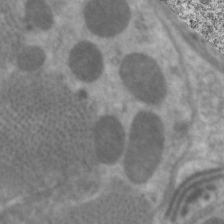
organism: C. elegans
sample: Pharynx